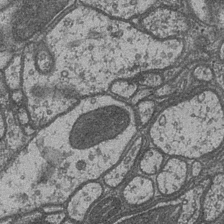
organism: Drosophila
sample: Optic medulla